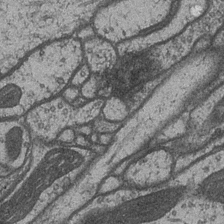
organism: Drosophila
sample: Optic medulla